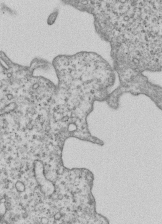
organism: Human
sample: MDA-MB-231 cells